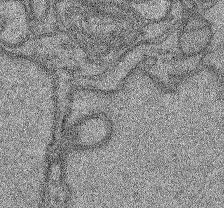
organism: Human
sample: HeLa cells